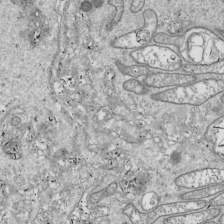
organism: Drosophila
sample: Cell division; meiosis; drosophila spermatocytes